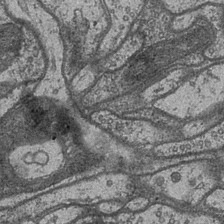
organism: Drosophila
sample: Optic medulla